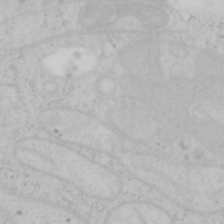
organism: Mouse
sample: OT-I killer T cells with ID8 ovarian cancer cells